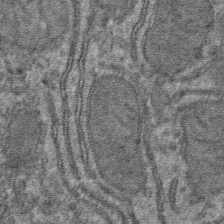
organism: Mouse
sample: Mouse hepatocytes